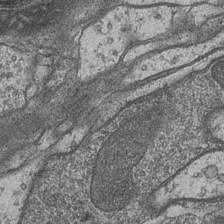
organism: Drosophila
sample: Optic medulla